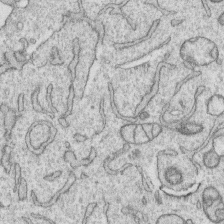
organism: Human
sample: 1205lu cells